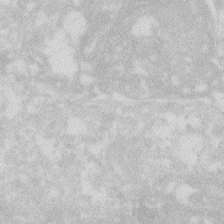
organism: Zebrafish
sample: Macrophage